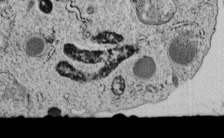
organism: C. elegans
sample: C. elegans embryo early stage